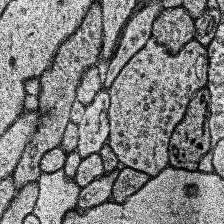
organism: Human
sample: Temporal Lobe